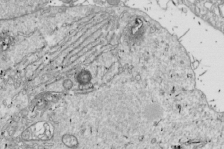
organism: Drosophila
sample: Cell division; meiosis; drosophila spermatocytes